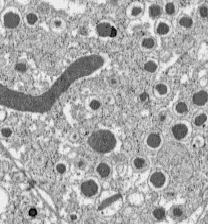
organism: C57BL Mouse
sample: Pancreatic islet